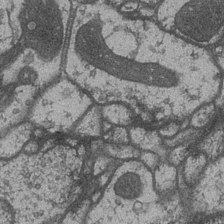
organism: Drosophila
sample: Optic medulla